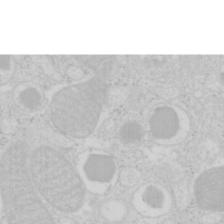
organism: Mouse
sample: Pancreas